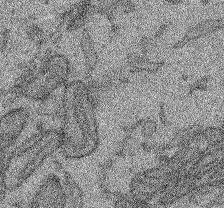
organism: Human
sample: HeLa cells